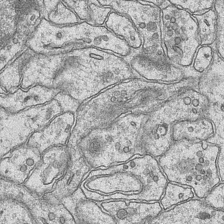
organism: Mouse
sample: CA1 Hippocampus